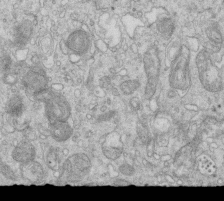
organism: Mouse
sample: Multiciliated cells